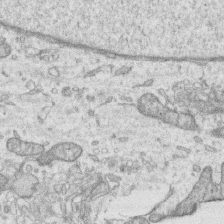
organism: Human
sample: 1205lu cells